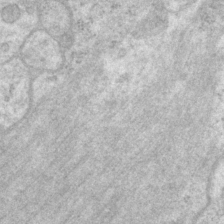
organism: P. pacificus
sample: Pharynx